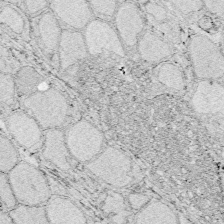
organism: Zebrafish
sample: Whole-Brain